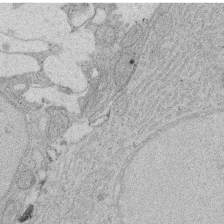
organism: Rat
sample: Salivary granule